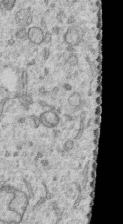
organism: Human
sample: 1205lu cells